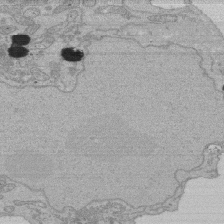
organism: Human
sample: Activated Jurkat CD4+ T cells